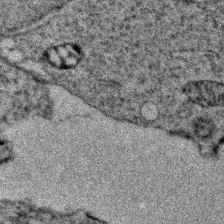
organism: Zebrafish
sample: Zebrafish embryo